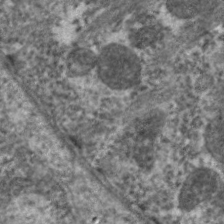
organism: C. elegans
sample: Pharynx